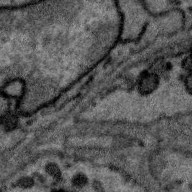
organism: Zebra finch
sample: Brain